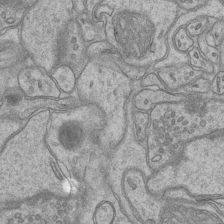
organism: Mouse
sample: CA1 Hippocampus